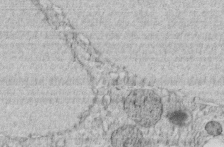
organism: C. elegans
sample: C. elegans embryo early stage